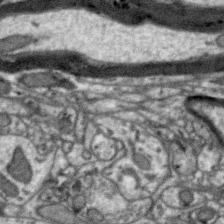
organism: Zebra finch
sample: Brain